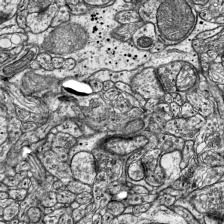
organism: Mouse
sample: Visual Cortex